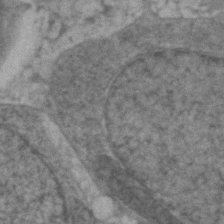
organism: Zebrafish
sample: Zebrafish embryo